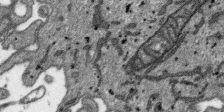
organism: Human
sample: Lung epithelial cells, uninfected (mock) control